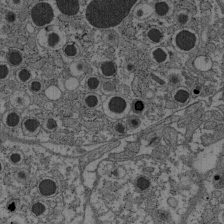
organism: C57BL Mouse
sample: Pancreatic islet